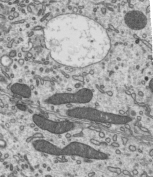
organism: Mouse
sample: Mouse epididymis efferent ductule cilia